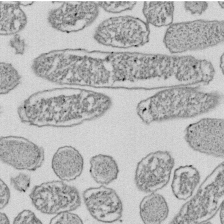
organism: E. coli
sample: Bacterial nucleoid